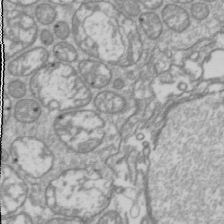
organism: Drosophila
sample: Cell division; meiosis; drosophila spermatocytes